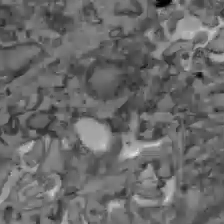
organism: C57BL Mouse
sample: Liver